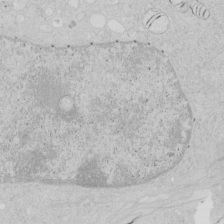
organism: Human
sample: Mitochondria in HCT116 cells